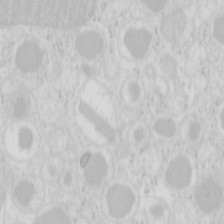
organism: Mouse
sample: Pancreas